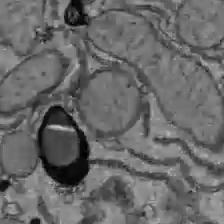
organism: C57BL Mouse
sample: Liver